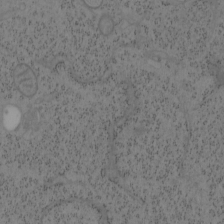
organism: Mouse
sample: OT-I killer T cells with ID8 ovarian cancer cells